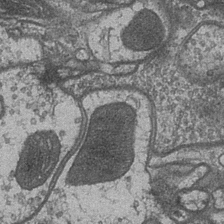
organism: Drosophila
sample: Optic medulla